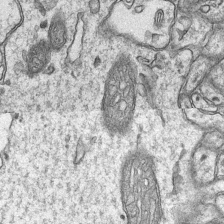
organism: Mouse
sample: CA1 Hippocampus